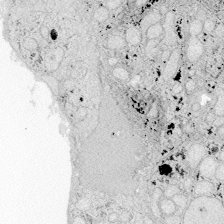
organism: Zebrafish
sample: Whole-Brain